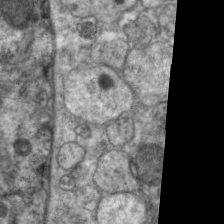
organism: C. elegans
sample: Pharynx